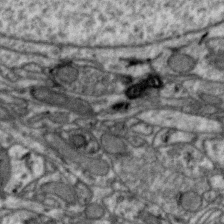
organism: Zebra finch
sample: Brain